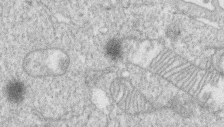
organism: Human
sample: HeLa cell HIV synapse